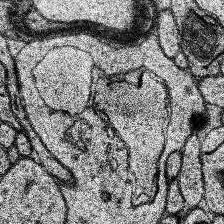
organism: Human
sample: Temporal Lobe